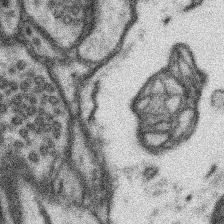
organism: Mouse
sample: Somatosensory cortex neuropil